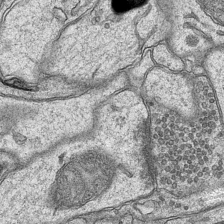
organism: Mouse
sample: CA1 Hippocampus